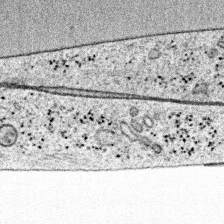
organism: Human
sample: HeLa cells